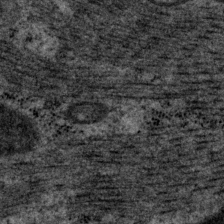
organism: P. pacificus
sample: Pharynx